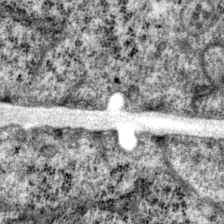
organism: P. pacificus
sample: Pharynx